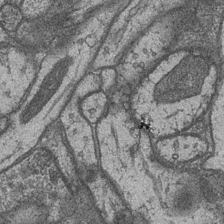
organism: Drosophila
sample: Optic medulla